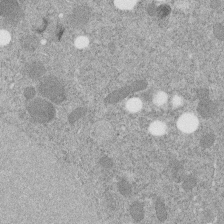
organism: C. elegans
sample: C. elegans embryo early stage